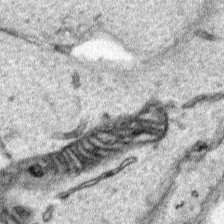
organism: Human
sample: Mitochondria in HCT116 cells